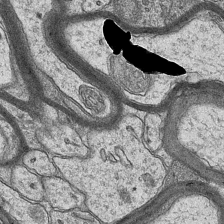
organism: Mouse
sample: CA1 Hippocampus